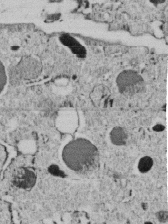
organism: C. elegans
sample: C. elegans embryo early stage